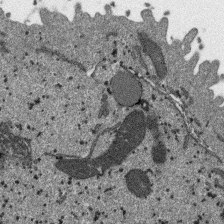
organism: Human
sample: Lung epithelial cells infected with SARS-CoV-2